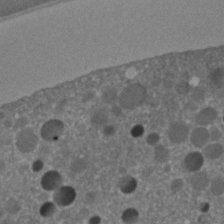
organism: C. elegans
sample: C. elegans embryo